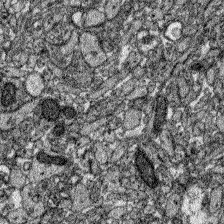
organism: Zebrafish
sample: Larval olfactory bulb